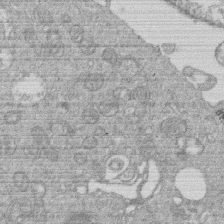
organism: Human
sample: Macrophage cells